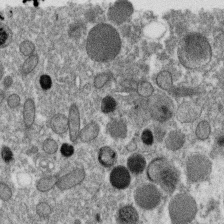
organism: C. elegans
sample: C. elegans oocyte; sperm cells